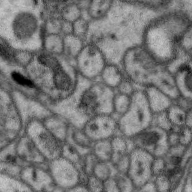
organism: Zebra finch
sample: Brain